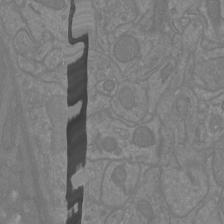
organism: Mouse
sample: Cortical neurons